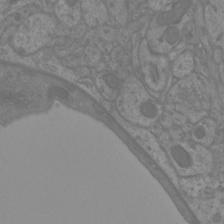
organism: Mouse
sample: Cortical neurons